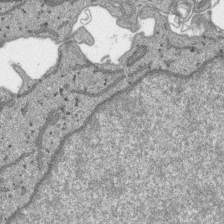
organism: Human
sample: Lung epithelial cells infected with SARS-CoV-2